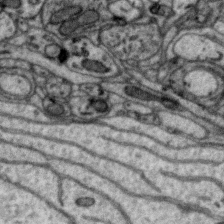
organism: Zebra finch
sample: Brain